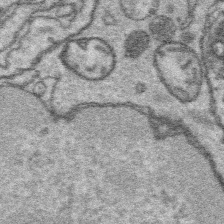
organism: Platynereis dumerilii